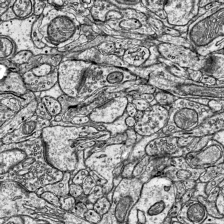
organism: Mouse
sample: Visual Cortex